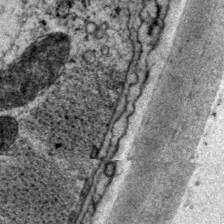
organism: P. pacificus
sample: Pharynx